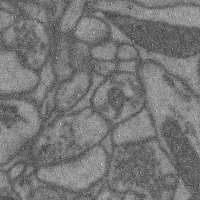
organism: Mouse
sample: Cerebral cortex